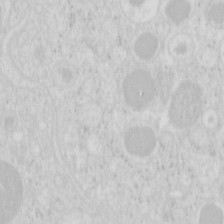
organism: Mouse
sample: Pancreas